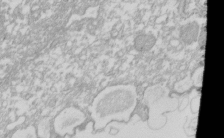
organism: Xenopus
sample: Cilia; centrioles in frog embryo cells